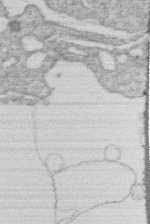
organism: Human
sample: Macrophage cells